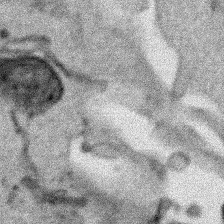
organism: Human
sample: Mitochondria in HCT116 cells